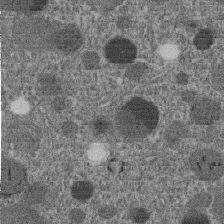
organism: C. elegans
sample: C. elegans embryo early stage